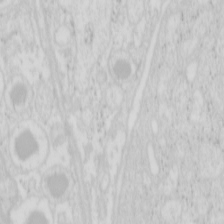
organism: Mouse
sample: Pancreas